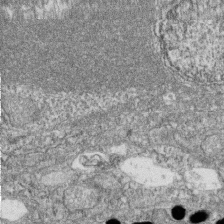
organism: Zebrafish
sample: Cilia; retinal pigment epithelium